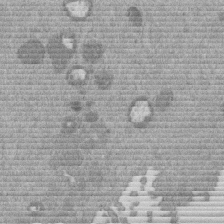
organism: Mouse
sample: Dividing mouse embryo 1 cell stage